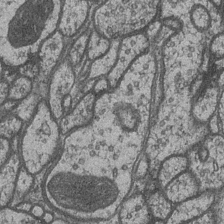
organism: Drosophila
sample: Optic medulla